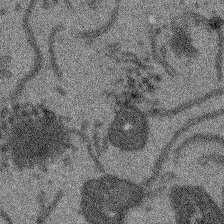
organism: Arabidopsis thaliana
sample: Root tip